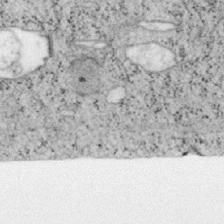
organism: Mouse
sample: OT-I killer T cells with ID8 ovarian cancer cells